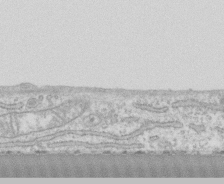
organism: Human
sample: CRL-1474